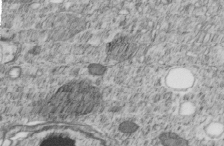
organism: C. elegans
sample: C. elegans embryo early stage